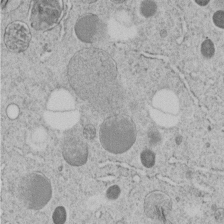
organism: C. elegans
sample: C. elegans embryo early stage